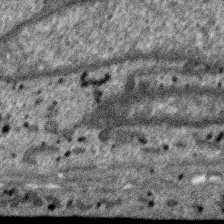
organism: Human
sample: Lung epithelial cells infected with SARS-CoV-2